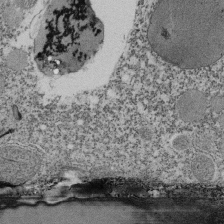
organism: Tetrahymena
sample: Cilia in tetrahymena